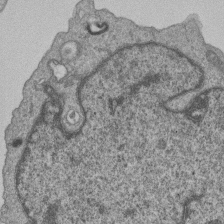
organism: Human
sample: MDA-MB-231 cells